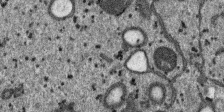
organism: Human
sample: Lung epithelial cells infected with SARS-CoV-2